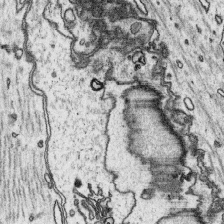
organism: Platynereis dumerilii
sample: Parapodia